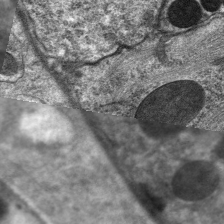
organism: C. elegans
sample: Pharynx